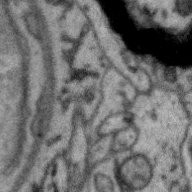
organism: Zebra finch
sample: Brain